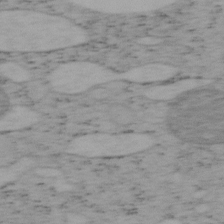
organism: Mouse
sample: OT-I killer T cells with ID8 ovarian cancer cells